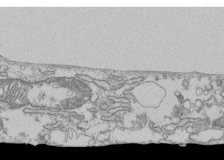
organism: Human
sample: Fibroblast cells